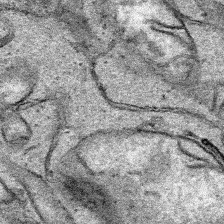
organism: Human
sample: Mitochondria in HCT116 cells